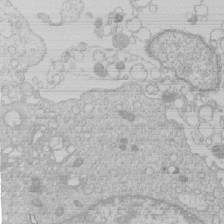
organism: Human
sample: Macrophage cells